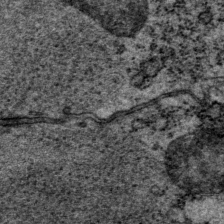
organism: P. pacificus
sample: Pharynx